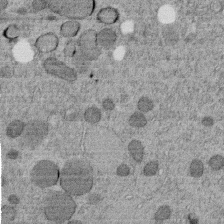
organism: C. elegans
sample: C. elegans embryo early stage